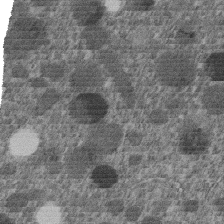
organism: C. elegans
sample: C. elegans embryo early stage